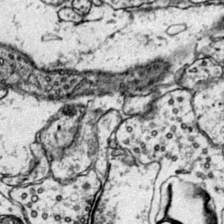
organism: Mouse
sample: Primary visual cortex